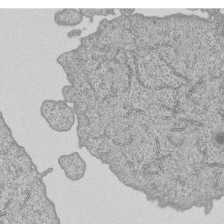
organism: Human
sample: MDA-MB-231 cells